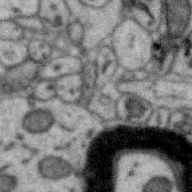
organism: Zebra finch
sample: Brain